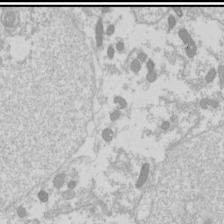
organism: Drosophila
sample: Cell division; meiosis; drosophila spermatocytes